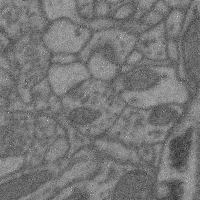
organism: Mouse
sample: Cerebral cortex